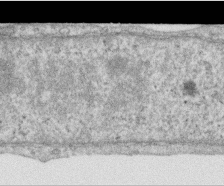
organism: Human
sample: Centriole in RPE cells